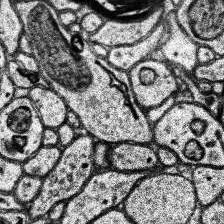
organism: Human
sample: Temporal Lobe